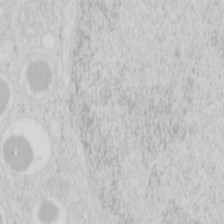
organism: Mouse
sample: Pancreas